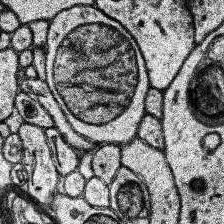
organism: Human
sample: Temporal Lobe